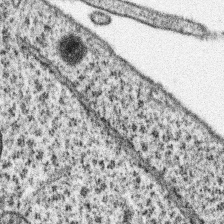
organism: Human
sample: HeLa cells